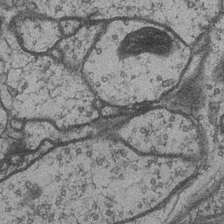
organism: Drosophila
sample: Optic medulla